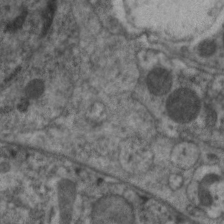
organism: C. elegans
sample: Pharynx